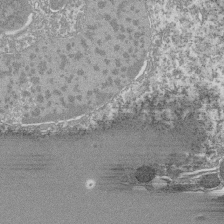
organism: Tetrahymena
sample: Cilia in tetrahymena